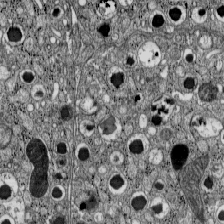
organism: C57BL Mouse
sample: Pancreatic islet